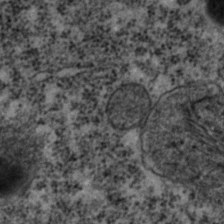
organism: C. elegans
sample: C. elegans embryo